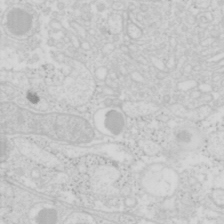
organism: Mouse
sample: Pancreas